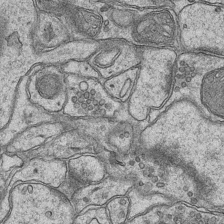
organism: Mouse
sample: CA1 Hippocampus